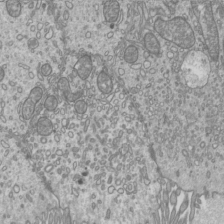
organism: Mouse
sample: Cilia; mouse epididymis